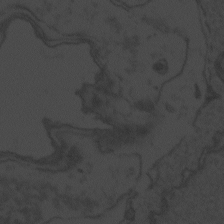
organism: Zebrafish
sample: Macrophage infected with Toxoplasma gondii